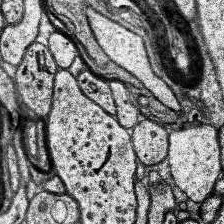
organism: Human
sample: Temporal Lobe